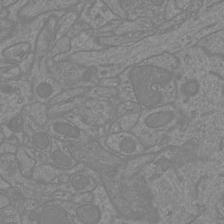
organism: Mouse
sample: Cortical neurons